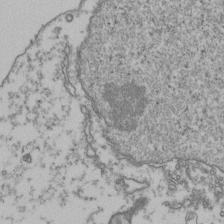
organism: Human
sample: Activated Jurkat CD4+ T cells